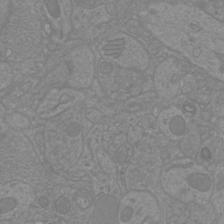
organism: Mouse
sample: Cortical neurons